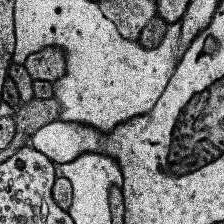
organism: Human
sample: Temporal Lobe